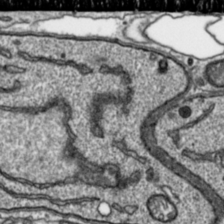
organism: Toxoplasma gondii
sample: Parasites in a vacuole inside a host cell